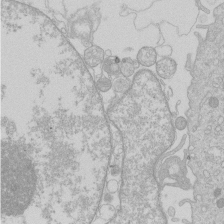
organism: Human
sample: Macrophage cells